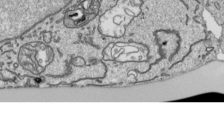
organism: Human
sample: Mitochondria in HCT116 cells